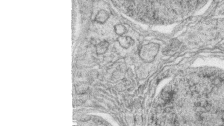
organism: Zebrafish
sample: synaptic ribbons in rod cells and cone cells